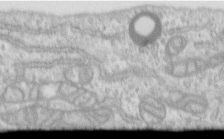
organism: Human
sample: Centriole in RPE cells